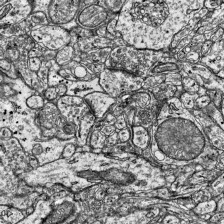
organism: Mouse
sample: Visual Cortex